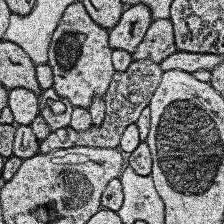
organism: Human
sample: Temporal Lobe